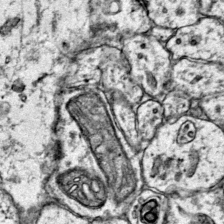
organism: Mouse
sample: Primary visual cortex